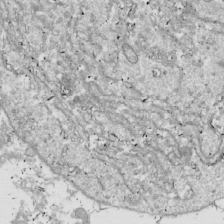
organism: Drosophila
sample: Cell division; meiosis; drosophila spermatocytes